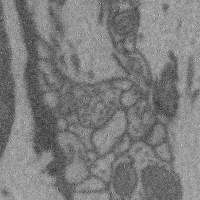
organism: Mouse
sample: Cerebral cortex